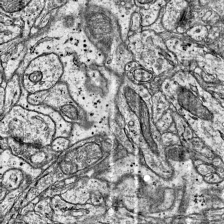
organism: Mouse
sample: Visual Cortex